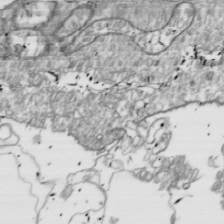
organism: Drosophila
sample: Cell division; meiosis; drosophila spermatocytes